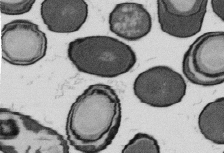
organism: B. subtilis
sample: Bacterial spore